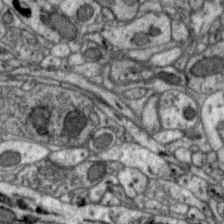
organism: Zebra finch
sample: Brain